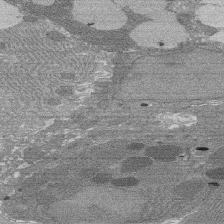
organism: Rat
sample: Salivary granule